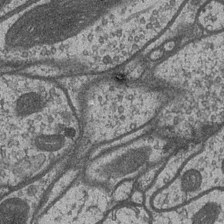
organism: Drosophila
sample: Optic medulla